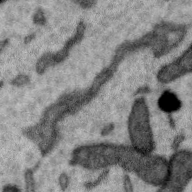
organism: Zebra finch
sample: Brain